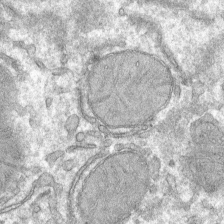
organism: Mouse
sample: Mouse hepatocytes